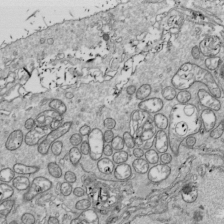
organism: Drosophila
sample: Cell division; meiosis; drosophila spermatocytes